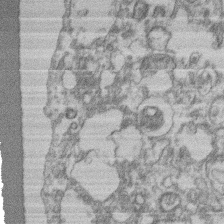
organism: Mouse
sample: T cell stromal cell synapse